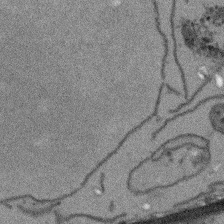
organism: Arabidopsis thaliana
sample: Root tip